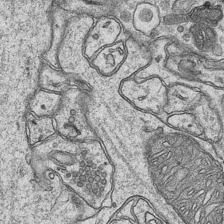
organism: Mouse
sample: CA1 Hippocampus